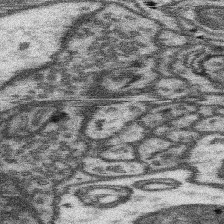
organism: Mouse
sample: Somatosensory cortex neuropil